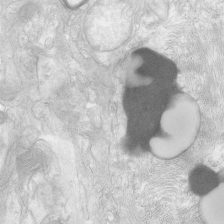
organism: Human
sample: Neocortex